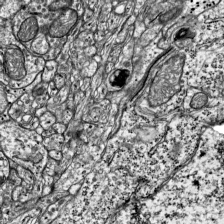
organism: Mouse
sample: Visual Cortex